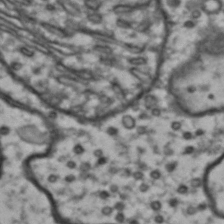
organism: Drosophila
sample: Brain